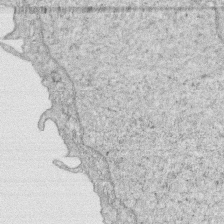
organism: Human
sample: HeLa cell HIV synapse